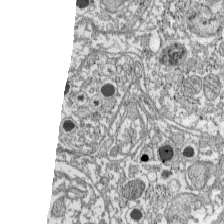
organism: C57BL Mouse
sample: Pancreatic islet